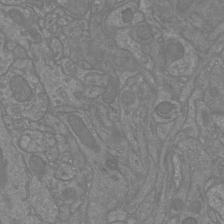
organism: Mouse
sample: Cortical neurons